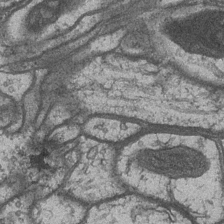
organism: Drosophila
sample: Optic medulla